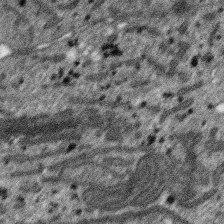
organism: Human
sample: Lung epithelial cells infected with SARS-CoV-2